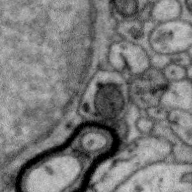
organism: Zebra finch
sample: Brain